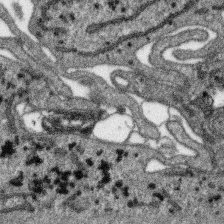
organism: Human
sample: Lung epithelial cells infected with SARS-CoV-2